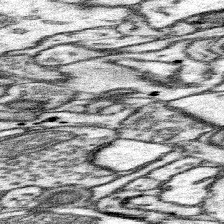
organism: Mouse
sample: Somatosensory cortex neuropil